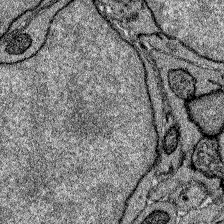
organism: Zebrafish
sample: Larval olfactory bulb